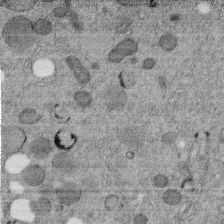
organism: C. elegans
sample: C. elegans embryo early stage